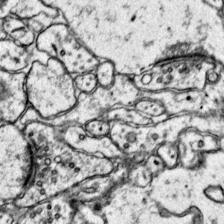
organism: Mouse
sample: Primary visual cortex